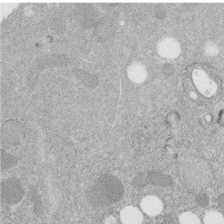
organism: C. elegans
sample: C. elegans embryo early stage